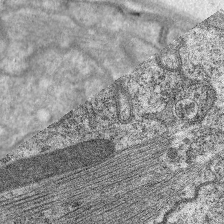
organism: C. elegans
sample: Pharynx